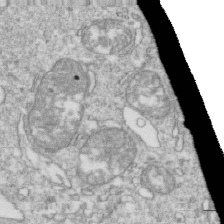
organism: Mouse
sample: Activated OT-1 CD8+ T cells